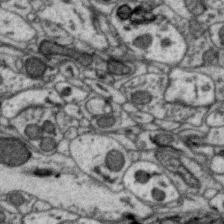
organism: Zebra finch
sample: Brain